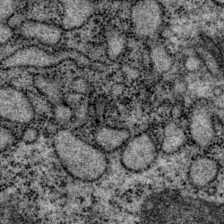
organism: P. pacificus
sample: Pharynx